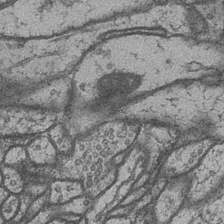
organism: Drosophila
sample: Optic medulla